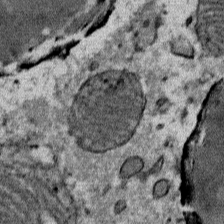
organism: Mouse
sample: Mouse Salivary gland